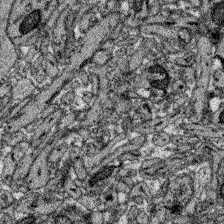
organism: Zebrafish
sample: Larval olfactory bulb